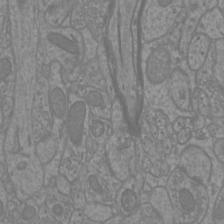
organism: Mouse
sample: Cortical neurons